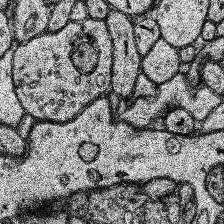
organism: Human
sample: Temporal Lobe